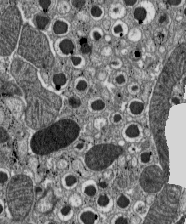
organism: C57BL Mouse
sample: Pancreatic islet